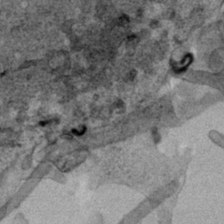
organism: Human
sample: Mitochondria in HCT116 cells